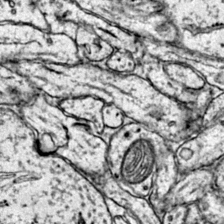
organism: Mouse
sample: Primary visual cortex